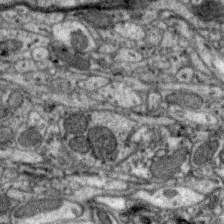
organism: Zebra finch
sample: Brain